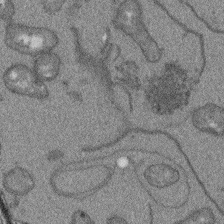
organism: Arabidopsis thaliana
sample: Root tip